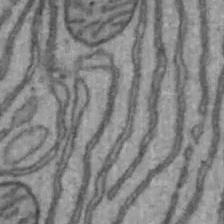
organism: Mouse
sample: Liver